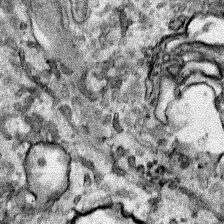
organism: Human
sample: Mitochondria in HCT116 cells